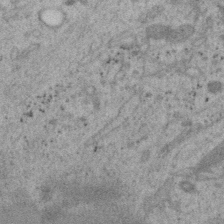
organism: Human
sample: HeLa cells